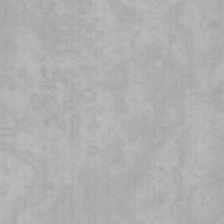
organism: Mouse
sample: Choroid plexus